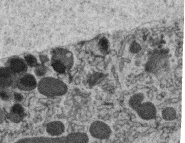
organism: C. elegans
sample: C. elegans oocyte; sperm cells